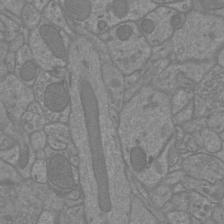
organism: Mouse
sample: Cortical neurons